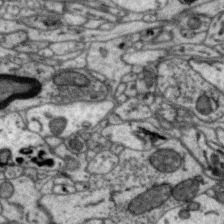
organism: Zebra finch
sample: Brain